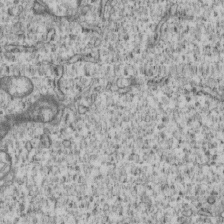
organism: Human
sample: MDA-MB-231 cells